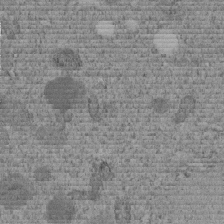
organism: C. elegans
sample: C. elegans embryo early stage